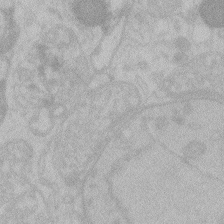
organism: Zebrafish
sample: Macrophage infected with Toxoplasma gondii